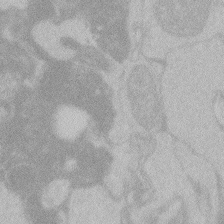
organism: Zebrafish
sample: Macrophage infected with Toxoplasma gondii